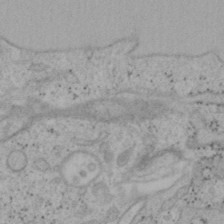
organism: Human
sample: HeLa cells